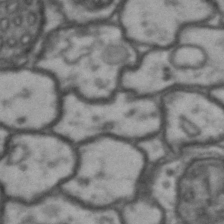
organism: Drosophila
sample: Brain